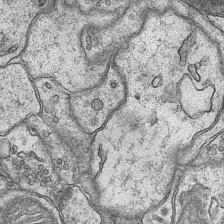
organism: Mouse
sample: CA1 Hippocampus